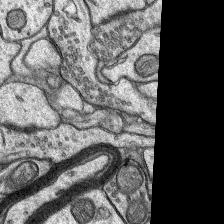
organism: Rat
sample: Hippocampus